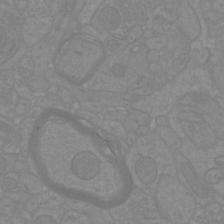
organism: Mouse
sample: Cortical neurons